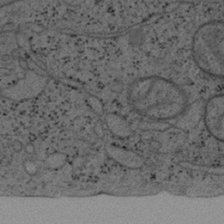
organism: Human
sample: HeLa cells